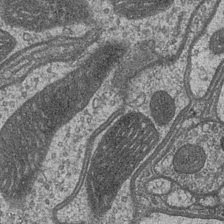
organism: Drosophila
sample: Optic medulla